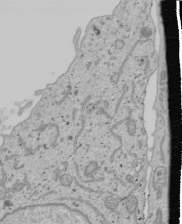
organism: Human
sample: Mitochondria in U2OS cells